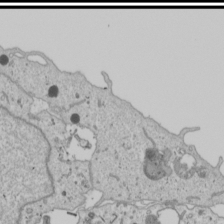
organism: Human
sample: Mitochondria in U2OS cells